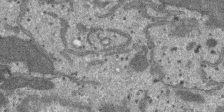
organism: Human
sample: Lung epithelial cells infected with SARS-CoV-2